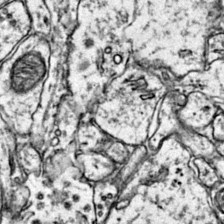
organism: Mouse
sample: Primary visual cortex